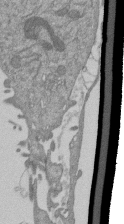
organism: Mouse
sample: ED-1 cell nuclei; centrioles